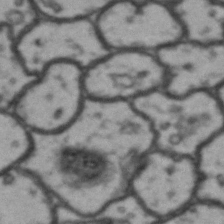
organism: Drosophila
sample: Brain